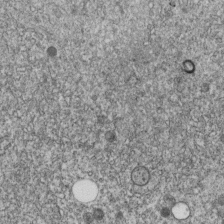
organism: C. elegans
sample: C. elegans embryo early stage